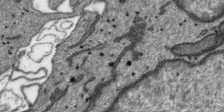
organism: Human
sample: Lung epithelial cells, uninfected (mock) control